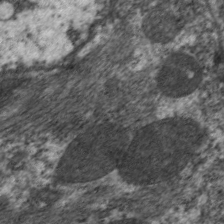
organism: C. elegans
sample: Pharynx